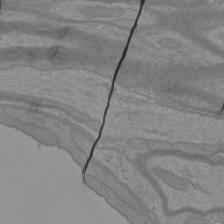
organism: Mouse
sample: Cortical neurons